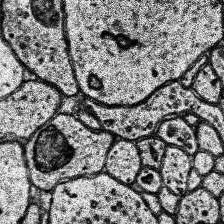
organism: Human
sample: Temporal Lobe